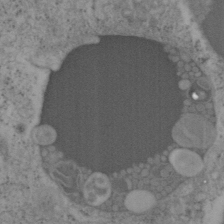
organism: Mouse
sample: OT-I killer T cells with ID8 ovarian cancer cells